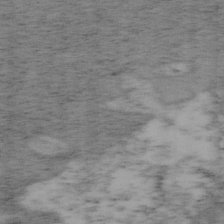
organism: Mouse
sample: OT-I killer T cells with ID8 ovarian cancer cells